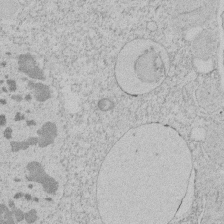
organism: Tetrahymena